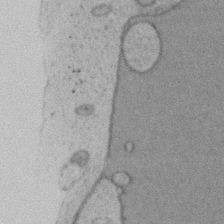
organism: Human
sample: HeLa cells